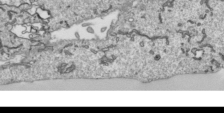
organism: Human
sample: Mitochondria in HCT116 cells